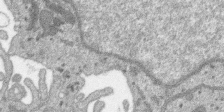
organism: Human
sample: Lung epithelial cells infected with SARS-CoV-2